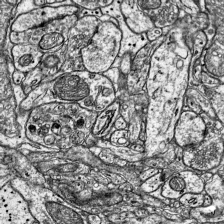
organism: Mouse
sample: Visual Cortex